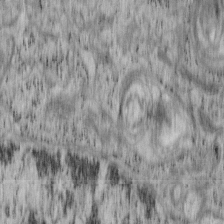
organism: Human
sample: HeLa cells